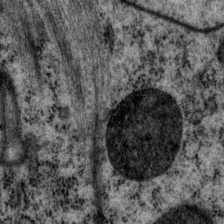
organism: P. pacificus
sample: Pharynx